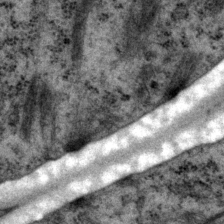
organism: P. pacificus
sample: Pharynx